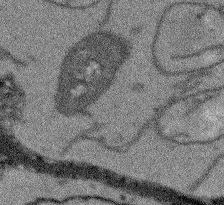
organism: Arabidopsis thaliana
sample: Root tip